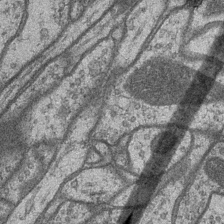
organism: Drosophila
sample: Optic medulla